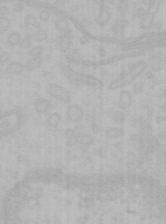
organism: Mouse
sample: Choroid plexus